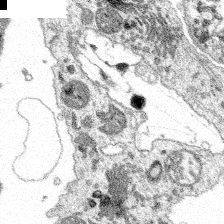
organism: Spongilla lacustris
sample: Multiple